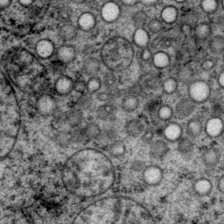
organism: P. pacificus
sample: Pharynx